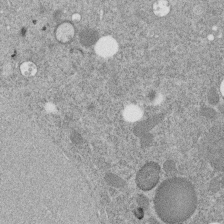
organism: C. elegans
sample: C. elegans embryo early stage